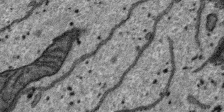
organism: Human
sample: Lung epithelial cells, uninfected (mock) control